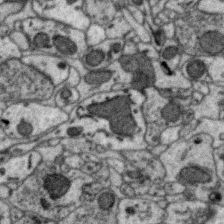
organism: Zebra finch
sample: Brain